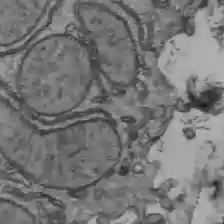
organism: C57BL Mouse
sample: Liver